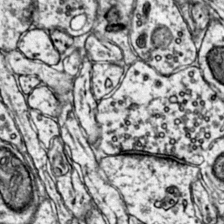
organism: Mouse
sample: Primary visual cortex